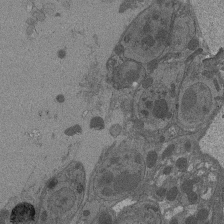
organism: Drosophila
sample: Antenna